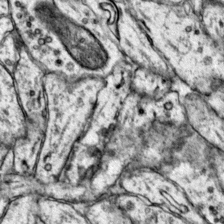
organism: Mouse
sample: Primary visual cortex